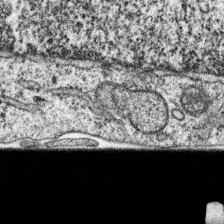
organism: Human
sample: HeLa cells